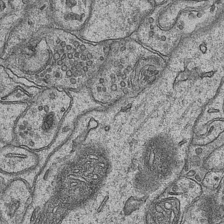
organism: Mouse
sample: CA1 Hippocampus